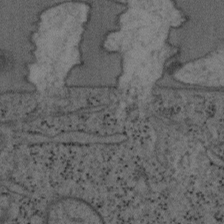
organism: Human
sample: HeLa cells